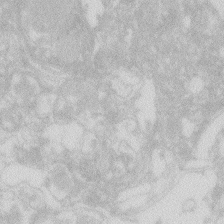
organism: Zebrafish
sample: Macrophage